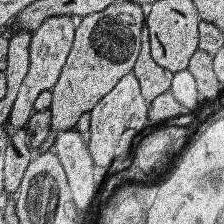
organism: Human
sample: Temporal Lobe